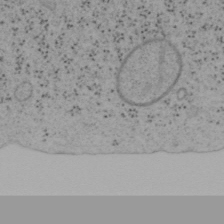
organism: Human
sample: HeLa cells